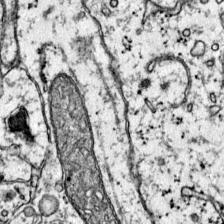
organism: Mouse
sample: Primary visual cortex